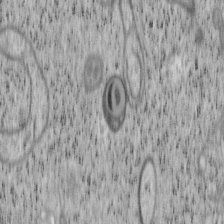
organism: Human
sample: HeLa cells